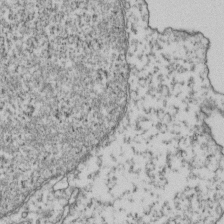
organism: Human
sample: Activated Jurkat CD4+ T cells